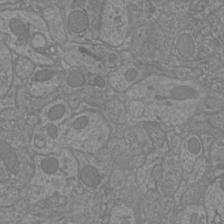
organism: Mouse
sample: Cortical neurons